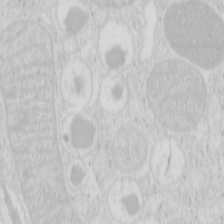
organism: Mouse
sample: Pancreas